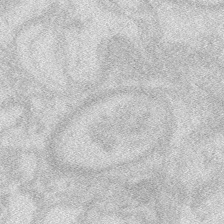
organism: Zebrafish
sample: Macrophage